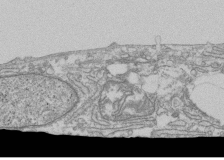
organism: Human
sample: Fibroblast cells